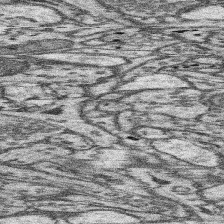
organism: Mouse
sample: Somatosensory cortex neuropil